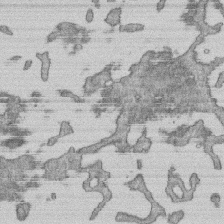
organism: Human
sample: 1205lu cells